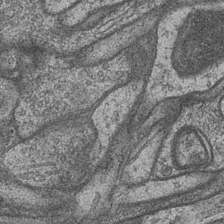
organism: Drosophila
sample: Optic medulla